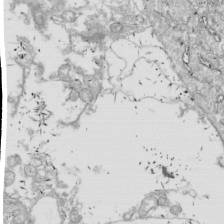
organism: Drosophila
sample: Cell division; meiosis; drosophila spermatocytes